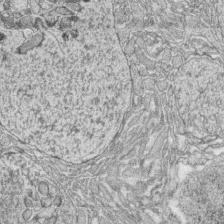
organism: Zebrafish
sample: synaptic ribbons in rod cells and cone cells